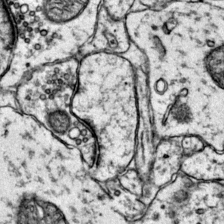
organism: Mouse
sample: Primary visual cortex